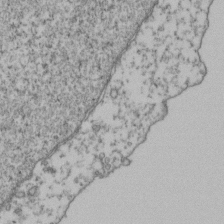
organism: Human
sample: Activated Jurkat CD4+ T cells